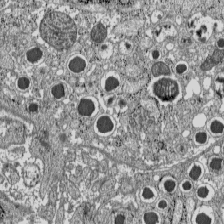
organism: C57BL Mouse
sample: Pancreatic islet